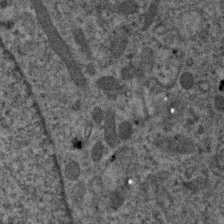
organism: Human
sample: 1205lu cells